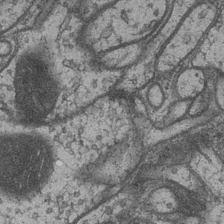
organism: Drosophila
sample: Optic medulla